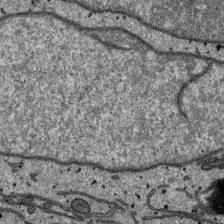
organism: Human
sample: Lung epithelial cells, uninfected (mock) control